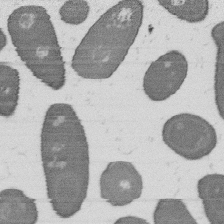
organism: B. subtilis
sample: Bacterial spore